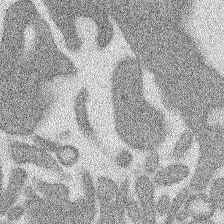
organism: Human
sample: HeLa cells